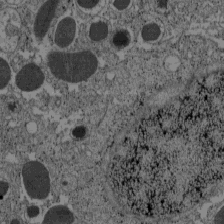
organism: C57BL Mouse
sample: Pancreatic islet